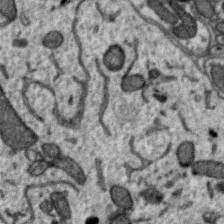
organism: Zebra finch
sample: Brain